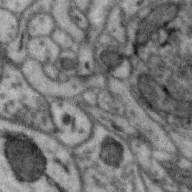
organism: Zebra finch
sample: Brain